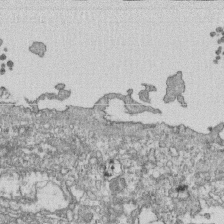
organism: Human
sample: HeLa cell HIV synapse